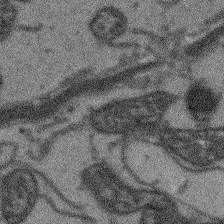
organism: Arabidopsis thaliana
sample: Root tip